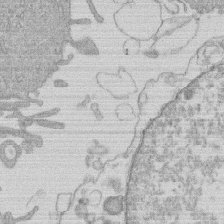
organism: Human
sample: Macrophage cells